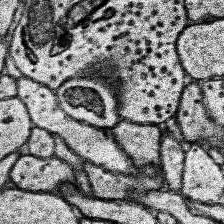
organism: Human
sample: Temporal Lobe